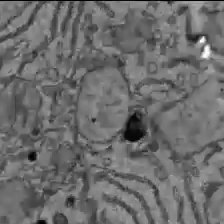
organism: C57BL Mouse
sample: Liver